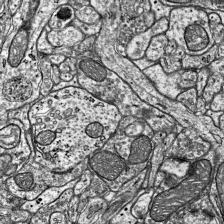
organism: Mouse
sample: Visual Cortex